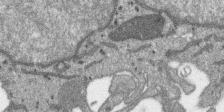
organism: Human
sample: Lung epithelial cells infected with SARS-CoV-2